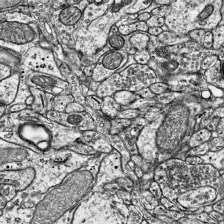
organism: Mouse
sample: Visual Cortex